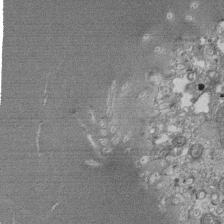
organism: Tetrahymena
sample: Cilia in tetrahymena